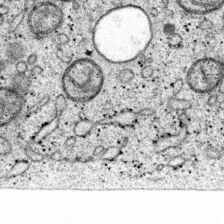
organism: Human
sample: HeLa cells